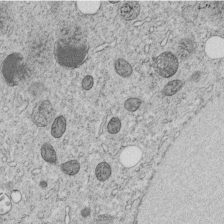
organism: C. elegans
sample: C. elegans embryo early stage